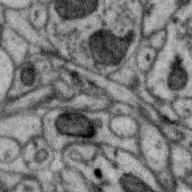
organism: Zebra finch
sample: Brain